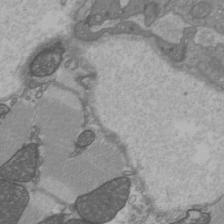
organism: C57BL Mouse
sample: Heart